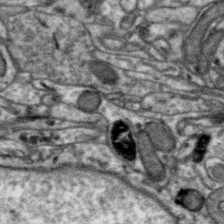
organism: Zebra finch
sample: Brain